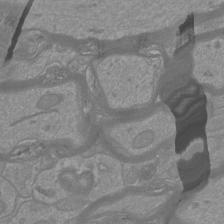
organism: Mouse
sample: Cortical neurons